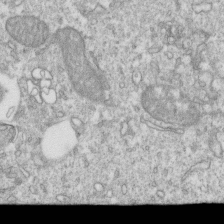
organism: Mouse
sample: Activated OT-1 CD8+ T cells